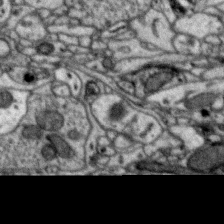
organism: Zebra finch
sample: Brain